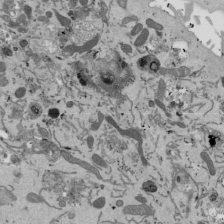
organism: Mouse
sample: ED-1 cell nuclei; centrioles